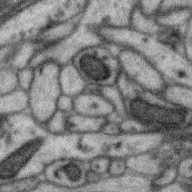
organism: Zebra finch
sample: Brain